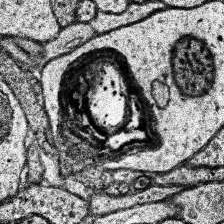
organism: Human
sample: Temporal Lobe